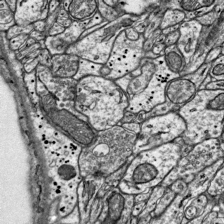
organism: Mouse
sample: Visual Cortex